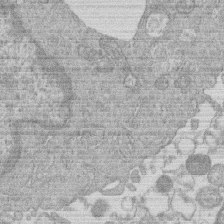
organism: Human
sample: Macrophage cells